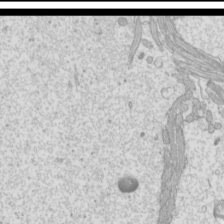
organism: Mouse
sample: Cilia; mouse epididymis